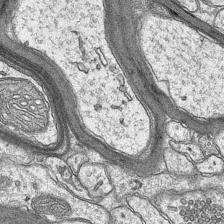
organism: Mouse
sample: CA1 Hippocampus